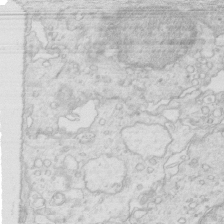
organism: Mouse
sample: Multiciliated cells